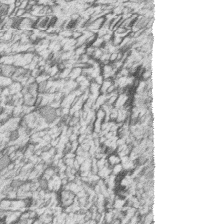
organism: Zebrafish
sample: synaptic ribbons in rod cells and cone cells